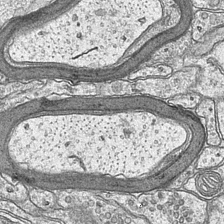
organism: Mouse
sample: CA1 Hippocampus